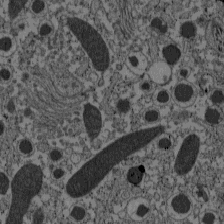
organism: C57BL Mouse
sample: Pancreatic islet